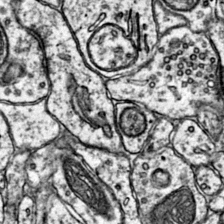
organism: Mouse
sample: Primary visual cortex